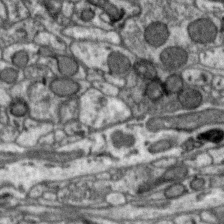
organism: Zebra finch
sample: Brain